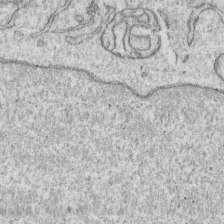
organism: Human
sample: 1205lu cells